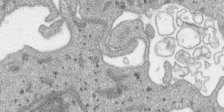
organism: Human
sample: Lung epithelial cells infected with SARS-CoV-2